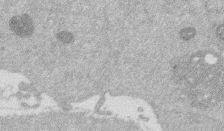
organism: Mouse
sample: Dividing mouse embryo 1 cell stage